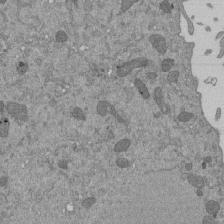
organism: Mouse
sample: ED-1 cell nuclei; centrioles